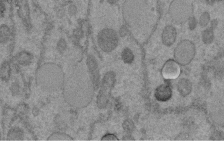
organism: C. elegans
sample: C. elegans embryo early stage